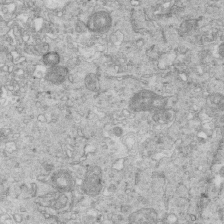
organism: Mouse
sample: Multiciliated cells